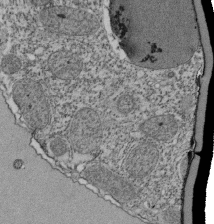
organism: Tetrahymena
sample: Cilia in tetrahymena